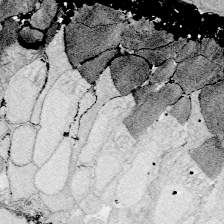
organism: Zebrafish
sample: Whole-Brain